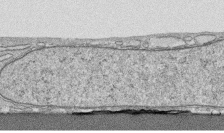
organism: Human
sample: CRL-1474